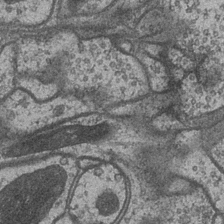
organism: Drosophila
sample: Optic medulla